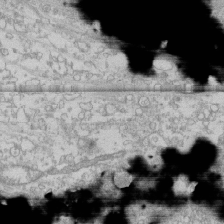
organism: Human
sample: CRL-1474